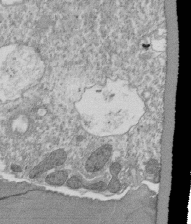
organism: Tetrahymena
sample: Cilia in tetrahymena